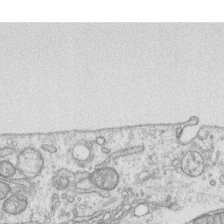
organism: Human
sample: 1205lu cells